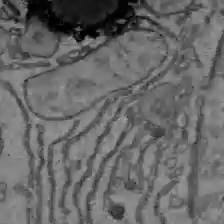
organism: C57BL Mouse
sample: Liver